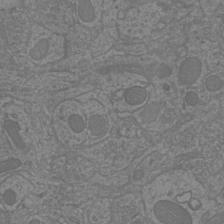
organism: Mouse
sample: Cortical neurons